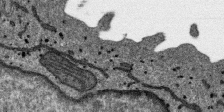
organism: Human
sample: Lung epithelial cells, uninfected (mock) control